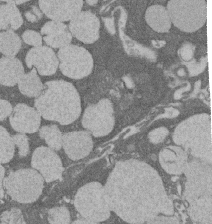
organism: Rat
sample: Salivary granule